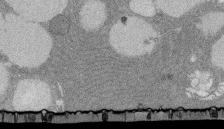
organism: Rat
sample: Salivary granule